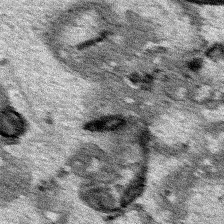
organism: Human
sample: Mitochondria in HCT116 cells